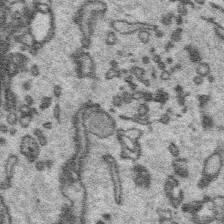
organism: Platynereis dumerilii